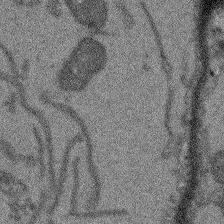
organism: Arabidopsis thaliana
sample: Root tip